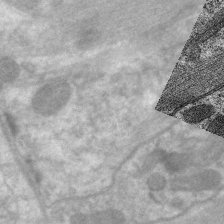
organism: C. elegans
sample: Pharynx